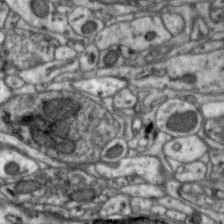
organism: Zebra finch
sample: Brain